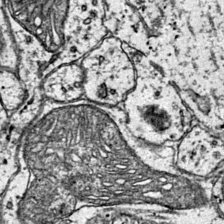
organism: Mouse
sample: Primary visual cortex